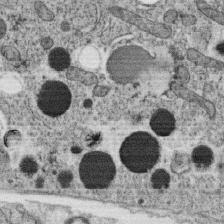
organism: C. elegans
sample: C. elegans oocyte; sperm cells